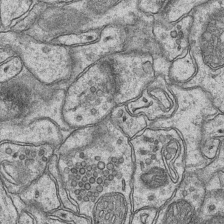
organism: Mouse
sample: CA1 Hippocampus